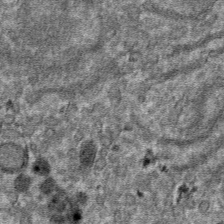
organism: Mouse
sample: Mouse hepatocytes